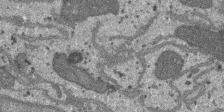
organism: Human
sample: Lung epithelial cells infected with SARS-CoV-2